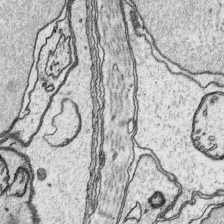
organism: Platynereis dumerilii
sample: Parapodia